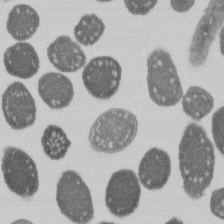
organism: E. coli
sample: Bacterial nucleoid